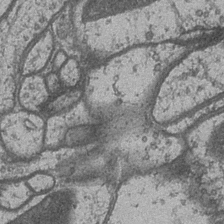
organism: Drosophila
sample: Optic medulla